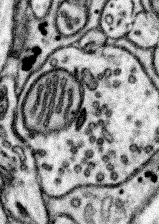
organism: Mouse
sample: Somatosensory cortex neuropil